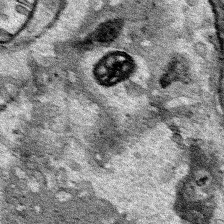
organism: Human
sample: Mitochondria in HCT116 cells